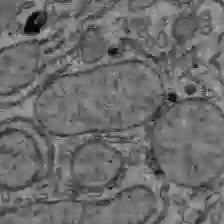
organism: C57BL Mouse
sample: Liver